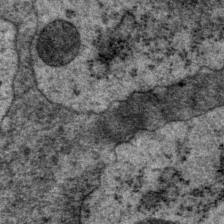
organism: P. pacificus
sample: Pharynx